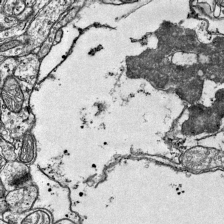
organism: Mouse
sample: Visual Cortex